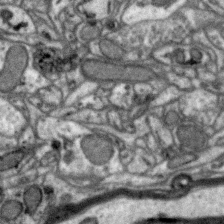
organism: Zebra finch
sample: Brain